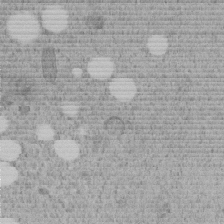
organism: C. elegans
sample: C. elegans embryo early stage